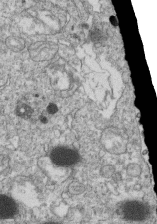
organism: Human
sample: HeLa cell HIV synapse